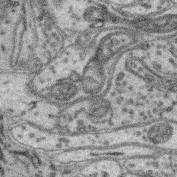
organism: Mouse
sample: Retina